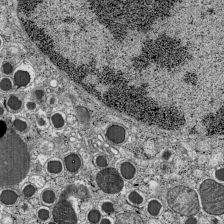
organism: C57BL Mouse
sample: Pancreatic islet